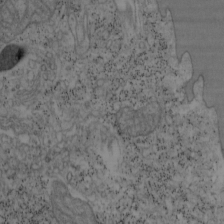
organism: Mouse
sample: OT-I killer T cells with ID8 ovarian cancer cells